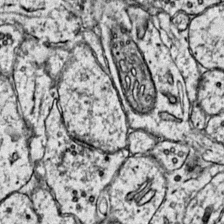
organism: Mouse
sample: Primary visual cortex